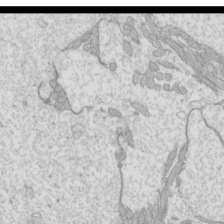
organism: Mouse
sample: Cilia; mouse epididymis